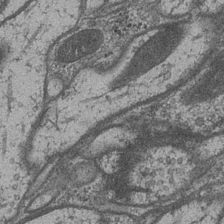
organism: Drosophila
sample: Optic medulla